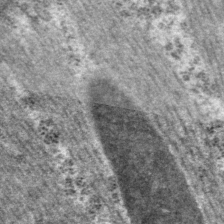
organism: P. pacificus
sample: Pharynx